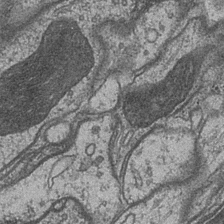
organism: Drosophila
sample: Optic medulla